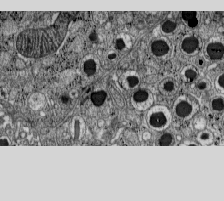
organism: C57BL Mouse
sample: Pancreatic islet